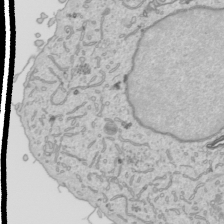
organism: Human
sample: Mitochondria in HCT116 cells